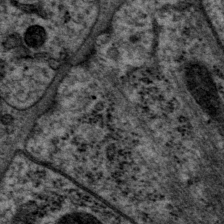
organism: P. pacificus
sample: Pharynx